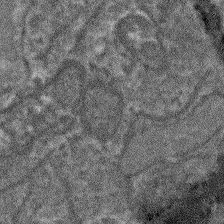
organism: Arabidopsis thaliana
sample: Root tip